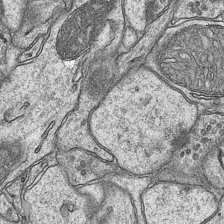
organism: Mouse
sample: CA1 Hippocampus